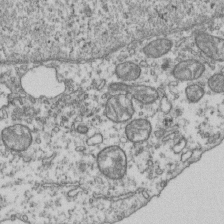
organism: Human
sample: Activated Jurkat CD4+ T cells